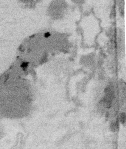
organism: Mouse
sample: T cell stromal cell synapse